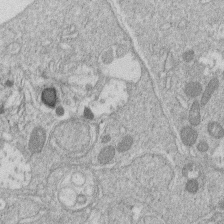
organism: Human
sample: Macrophage cells